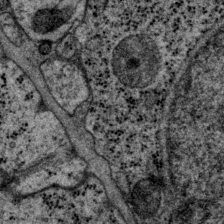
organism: P. pacificus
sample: Pharynx